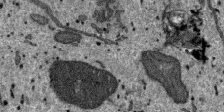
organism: Human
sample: Lung epithelial cells, uninfected (mock) control